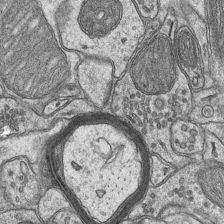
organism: Mouse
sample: CA1 Hippocampus